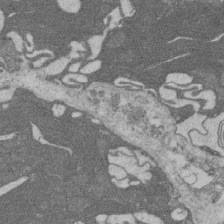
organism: Rat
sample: Salivary granule